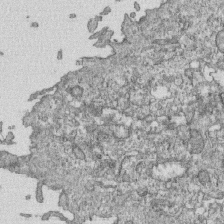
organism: Human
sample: HeLa cell HIV synapse